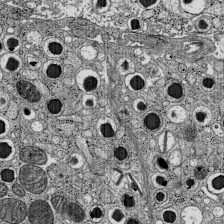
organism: C57BL Mouse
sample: Pancreatic islet